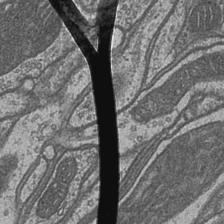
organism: Drosophila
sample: Optic medulla